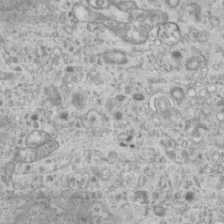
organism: Mouse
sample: Centriole in ependymal cells